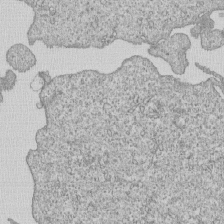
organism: Human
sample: MDA-MB-231 cells